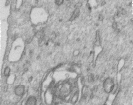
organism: Human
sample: Centriole in RPE cells